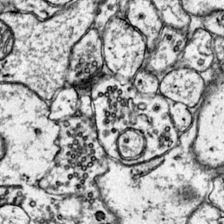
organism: Mouse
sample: Primary visual cortex